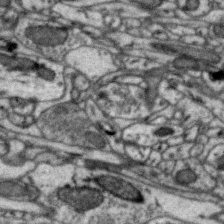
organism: Zebra finch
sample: Brain